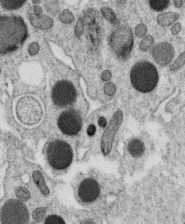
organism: C. elegans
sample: C. elegans oocyte; sperm cells